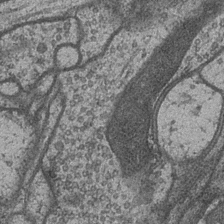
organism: Drosophila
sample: Optic medulla